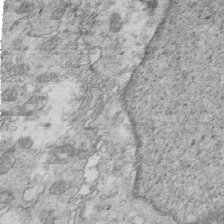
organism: Mouse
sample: Multiciliated cells